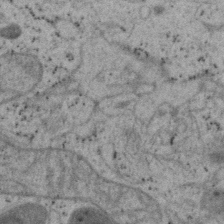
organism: Human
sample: HeLa cells